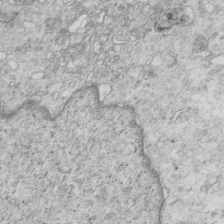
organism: Mouse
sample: Multiciliated cells